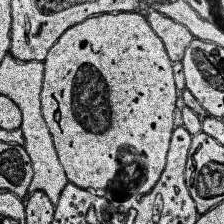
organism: Human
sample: Temporal Lobe